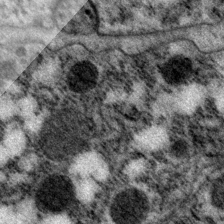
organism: P. pacificus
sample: Pharynx